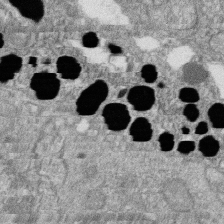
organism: Zebrafish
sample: Cilia; retinal pigment epithelium